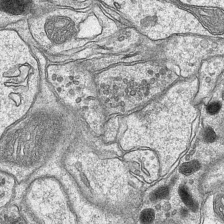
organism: Mouse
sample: CA1 Hippocampus